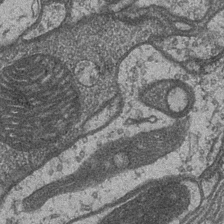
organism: Drosophila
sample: Optic medulla